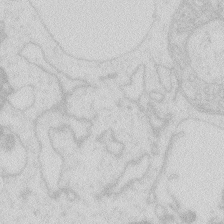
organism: Zebrafish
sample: Macrophage